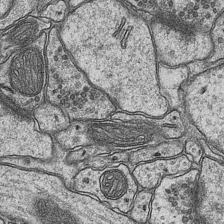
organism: Mouse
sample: CA1 Hippocampus